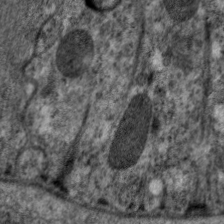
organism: C. elegans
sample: Pharynx